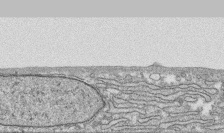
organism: Human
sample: CRL-1474